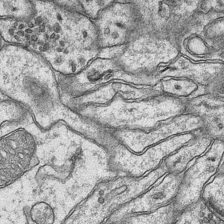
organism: Mouse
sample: CA1 Hippocampus